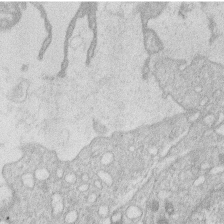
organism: Human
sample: Macrophage cells